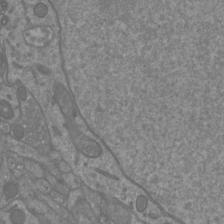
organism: Mouse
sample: Cortical neurons